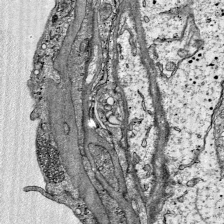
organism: Mouse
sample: Visual Cortex